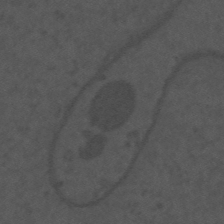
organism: Mouse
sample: Suprachiasmatic nucleus